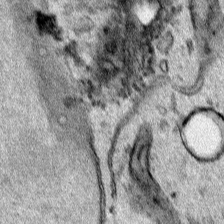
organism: Human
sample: Mitochondria in HCT116 cells